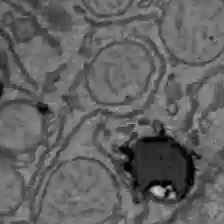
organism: C57BL Mouse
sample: Liver